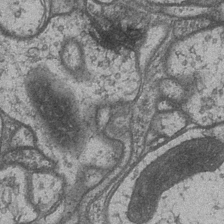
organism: Drosophila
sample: Optic medulla